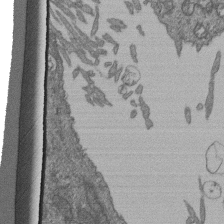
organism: Human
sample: Retinal organoid Rod and Cone cells